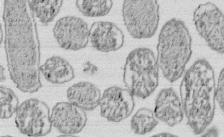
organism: E. coli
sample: Bacterial nucleoid